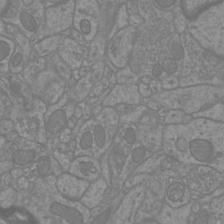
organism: Mouse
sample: Cortical neurons